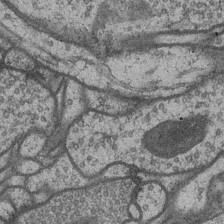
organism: Drosophila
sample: Optic medulla